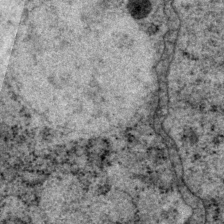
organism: P. pacificus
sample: Pharynx